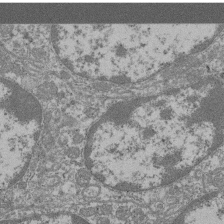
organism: Mouse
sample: Glomerulus